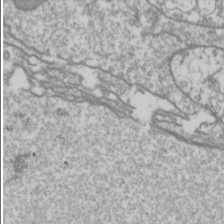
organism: Drosophila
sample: Cell division; meiosis; drosophila spermatocytes